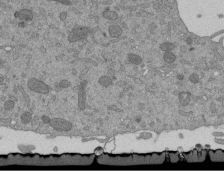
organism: Mouse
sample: ED-1 cell nuclei; centrioles